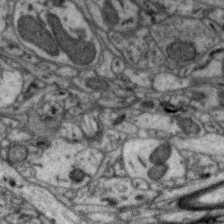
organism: Zebra finch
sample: Brain